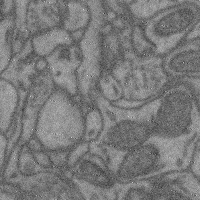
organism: Mouse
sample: Cerebral cortex